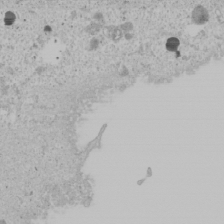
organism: Human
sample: Mitochondria in U2OS cells